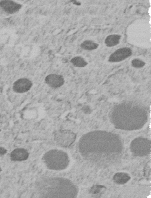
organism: C. elegans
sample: C. elegans embryo early stage